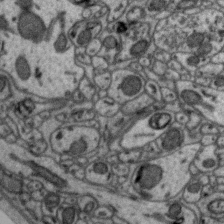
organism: Zebra finch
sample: Brain